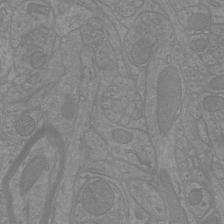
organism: Mouse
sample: Cortical neurons